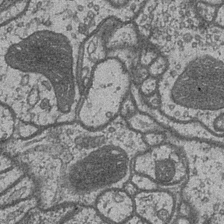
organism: Drosophila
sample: Optic medulla